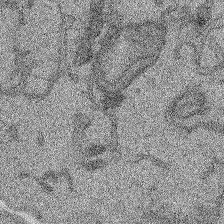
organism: Human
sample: HeLa cells